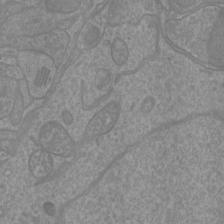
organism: Mouse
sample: Cortical neurons